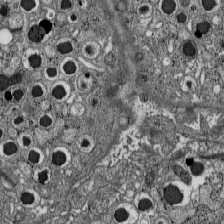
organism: C57BL Mouse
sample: Pancreatic islet